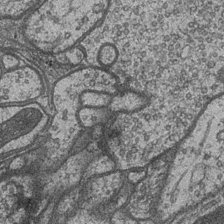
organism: Drosophila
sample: Optic medulla